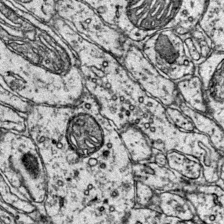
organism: Mouse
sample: Primary visual cortex